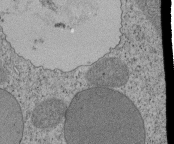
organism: Tetrahymena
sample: Cilia in tetrahymena